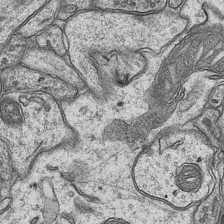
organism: Mouse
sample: CA1 Hippocampus